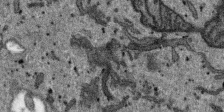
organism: Human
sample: Lung epithelial cells, uninfected (mock) control